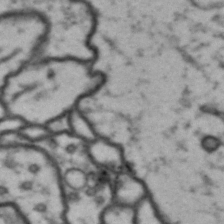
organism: Drosophila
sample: Brain